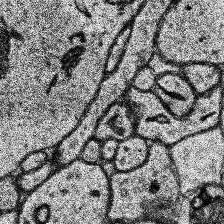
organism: Human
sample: Temporal Lobe